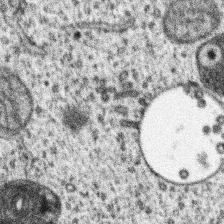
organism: Human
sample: HeLa cells